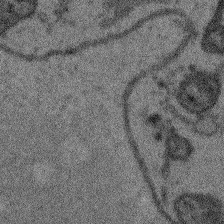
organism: Arabidopsis thaliana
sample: Root tip